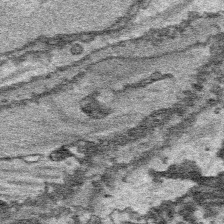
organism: Platynereis dumerilii